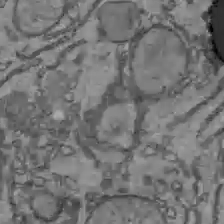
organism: C57BL Mouse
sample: Liver